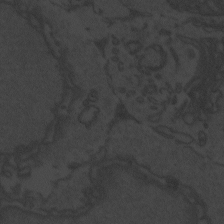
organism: Zebrafish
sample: Macrophage infected with Toxoplasma gondii